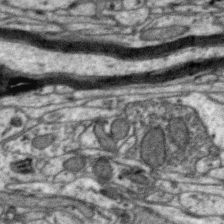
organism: Zebra finch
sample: Brain